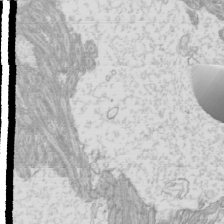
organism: Mouse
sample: Cilia; mouse epididymis